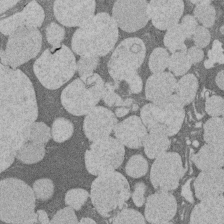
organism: Rat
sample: Salivary granule